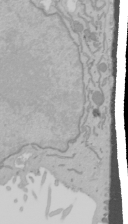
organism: Mouse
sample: Cancer cell death in ED-1 cells